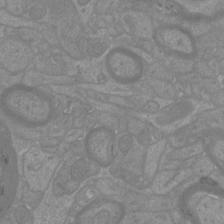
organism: Mouse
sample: Cortical neurons